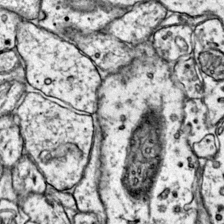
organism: Mouse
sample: Primary visual cortex